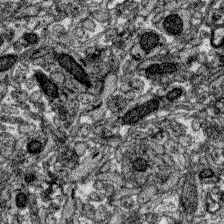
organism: Zebrafish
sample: Larval olfactory bulb